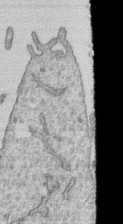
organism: Human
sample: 1205lu cells